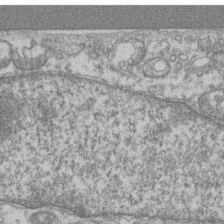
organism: Mouse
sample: T cell stromal cell synapse